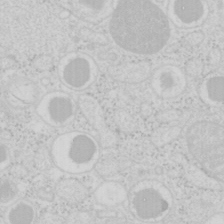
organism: Mouse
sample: Pancreas